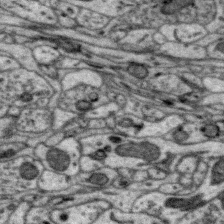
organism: Zebra finch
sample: Brain